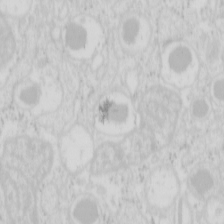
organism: Mouse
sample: Pancreas